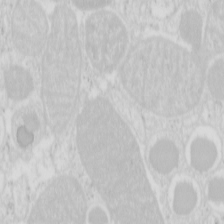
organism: Mouse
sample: Pancreas